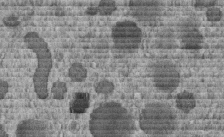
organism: C. elegans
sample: C. elegans embryo early stage